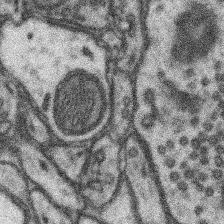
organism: Mouse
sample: Somatosensory cortex neuropil